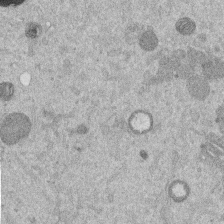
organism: Mouse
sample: Dividing mouse embryo 1 cell stage